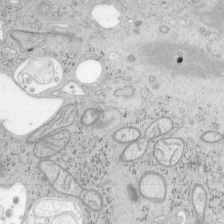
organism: Mouse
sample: OT-I killer T cells with ID8 ovarian cancer cells